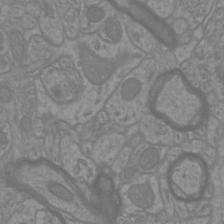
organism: Mouse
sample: Cortical neurons